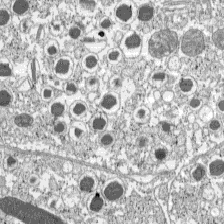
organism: C57BL Mouse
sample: Pancreatic islet